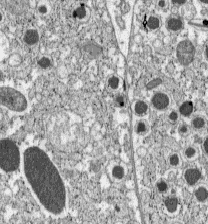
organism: C57BL Mouse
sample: Pancreatic islet